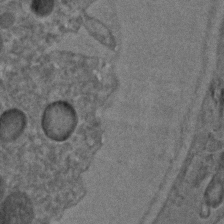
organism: C. elegans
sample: C. elegans embryo